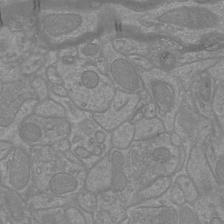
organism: Mouse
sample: Cortical neurons